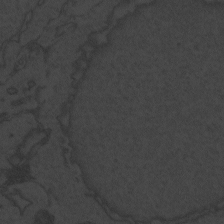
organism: Zebrafish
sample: Macrophage infected with Toxoplasma gondii